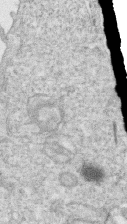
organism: Human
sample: HeLa cell HIV synapse